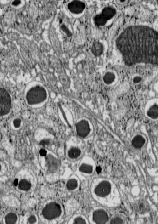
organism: C57BL Mouse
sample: Pancreatic islet